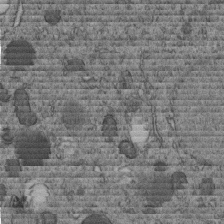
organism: C. elegans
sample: C. elegans embryo early stage